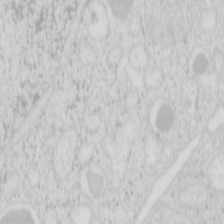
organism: Mouse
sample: Pancreas